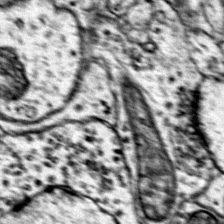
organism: Mouse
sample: Primary visual cortex